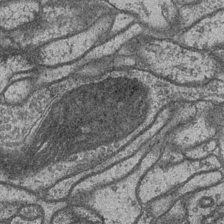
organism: Drosophila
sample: Optic medulla